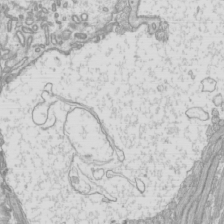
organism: Mouse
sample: Cilia; mouse epididymis